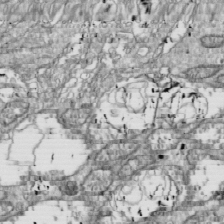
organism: Drosophila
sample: Cell division; meiosis; drosophila spermatocytes